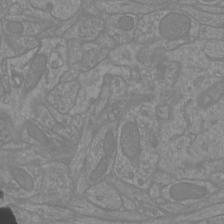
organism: Mouse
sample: Cortical neurons